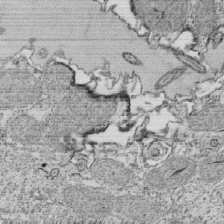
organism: Tetrahymena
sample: Cilia in tetrahymena